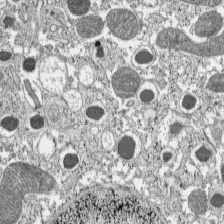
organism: C57BL Mouse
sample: Pancreatic islet